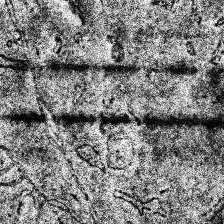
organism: Human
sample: Temporal Lobe